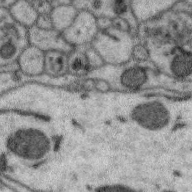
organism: Zebra finch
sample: Brain